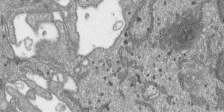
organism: Human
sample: Lung epithelial cells infected with SARS-CoV-2